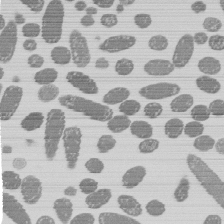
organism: E. coli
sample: Bacterial nucleoid